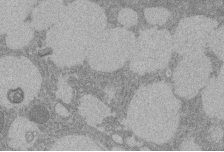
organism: Rat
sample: Salivary granule